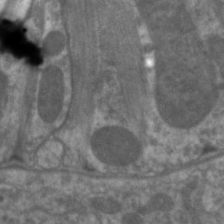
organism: C. elegans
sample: Pharynx